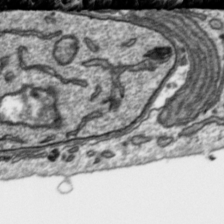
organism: Toxoplasma gondii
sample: Parasites in a vacuole inside a host cell